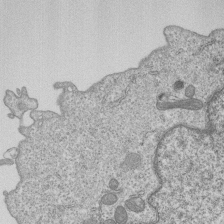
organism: Human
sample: MDA-MB-231 cells